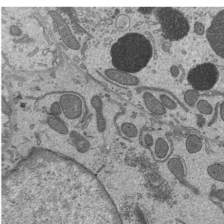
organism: Mouse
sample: Mouse epididymis efferent ductule cilia